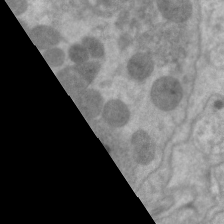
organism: C. elegans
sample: Pharynx